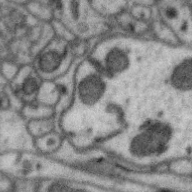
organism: Zebra finch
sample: Brain